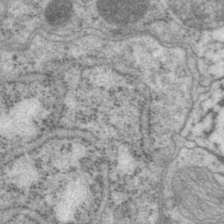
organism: P. pacificus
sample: Pharynx